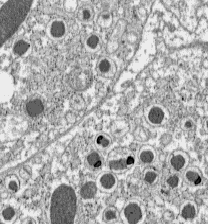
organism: C57BL Mouse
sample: Pancreatic islet